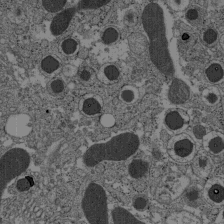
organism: C57BL Mouse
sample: Pancreatic islet